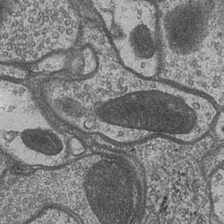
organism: Drosophila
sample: Optic medulla